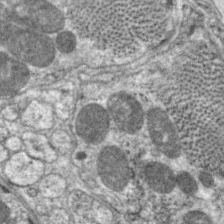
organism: C. elegans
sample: Pharynx